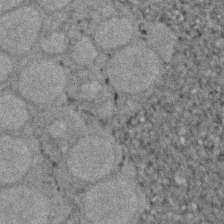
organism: Zebrafish